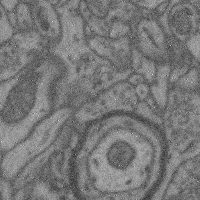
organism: Mouse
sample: Cerebral cortex